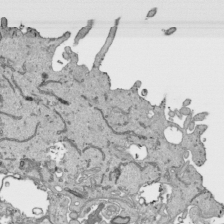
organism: Human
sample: Mitochondria in HCT116 cells